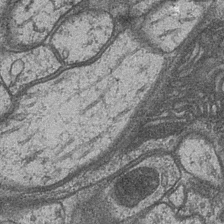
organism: Drosophila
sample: Optic medulla